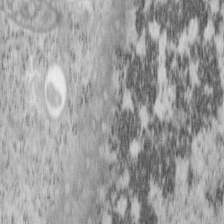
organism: Human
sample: HeLa cells